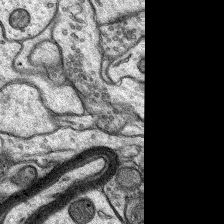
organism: Rat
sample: Hippocampus